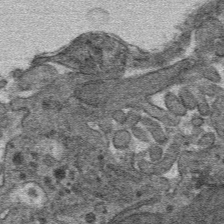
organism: Mouse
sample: Mouse hepatocytes